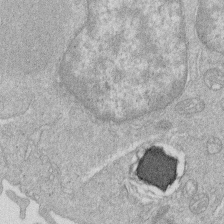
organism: Human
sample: Macrophage cells